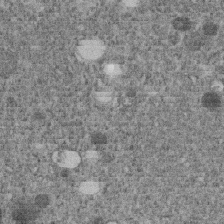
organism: C. elegans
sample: C. elegans embryo early stage